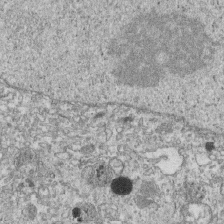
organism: Human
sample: HeLa cell HIV synapse